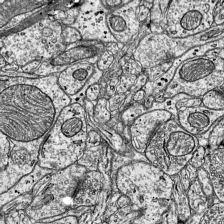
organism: Mouse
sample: Visual Cortex